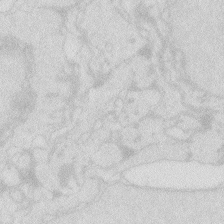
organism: Zebrafish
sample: Macrophage